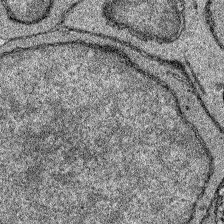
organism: Zebrafish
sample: Larval olfactory bulb